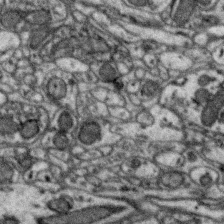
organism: Zebra finch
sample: Brain